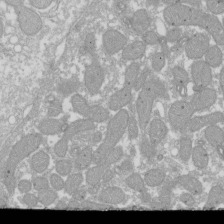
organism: Xenopus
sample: Cilia; centrioles in frog embryo cells